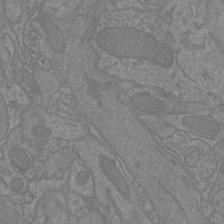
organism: Mouse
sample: Cortical neurons